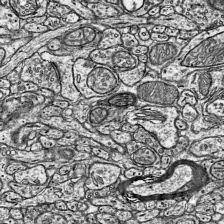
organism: Mouse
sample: Visual Cortex